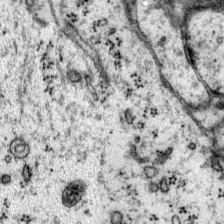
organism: Mouse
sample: Primary visual cortex